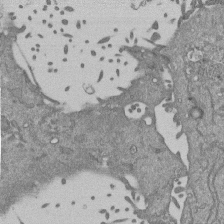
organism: Mouse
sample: ED-1 cell nuclei; centrioles